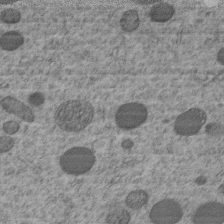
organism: C. elegans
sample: C. elegans embryo early stage